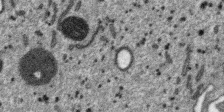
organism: Human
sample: Lung epithelial cells infected with SARS-CoV-2